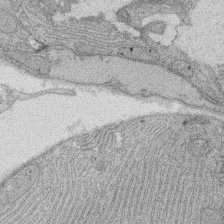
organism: Rat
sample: Salivary granule